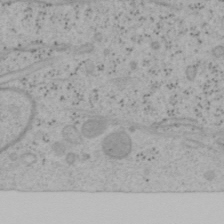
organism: Human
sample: HeLa cells